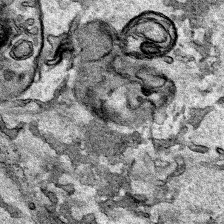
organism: Human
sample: Mitochondria in HCT116 cells